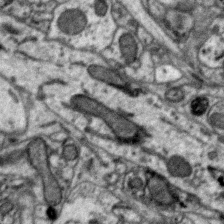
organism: Zebra finch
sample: Brain